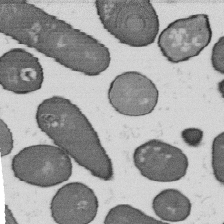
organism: B. subtilis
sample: Bacterial spore